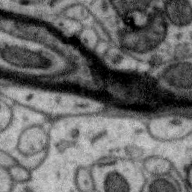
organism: Zebra finch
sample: Brain